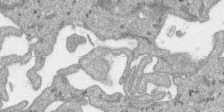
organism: Human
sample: Lung epithelial cells infected with SARS-CoV-2